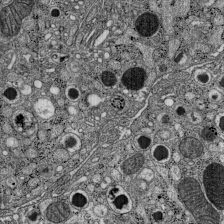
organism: C57BL Mouse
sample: Pancreatic islet